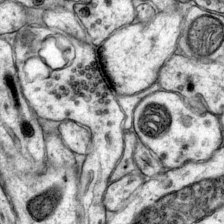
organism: Mouse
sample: Primary visual cortex